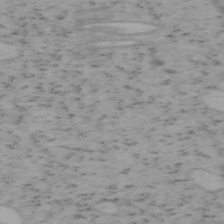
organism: Mouse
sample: OT-I killer T cells with ID8 ovarian cancer cells